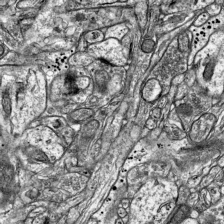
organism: Mouse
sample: Visual Cortex